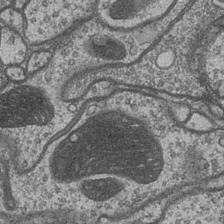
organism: Drosophila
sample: Optic medulla